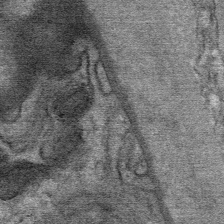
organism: Mouse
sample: Mouse Salivary gland